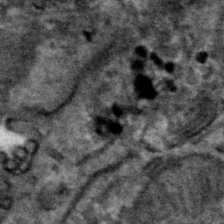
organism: Mouse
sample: Mouse hepatocytes